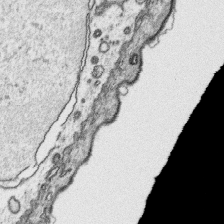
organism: Platynereis dumerilii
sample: Parapodia